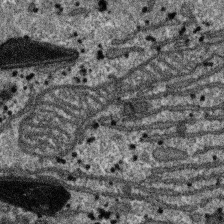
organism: Human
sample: Lung epithelial cells infected with SARS-CoV-2